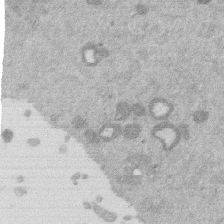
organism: Mouse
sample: Dividing mouse embryo 1 cell stage